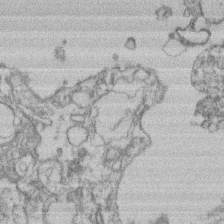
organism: Mouse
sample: T cell stromal cell synapse